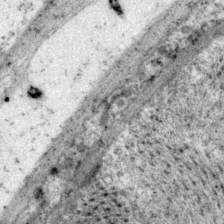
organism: P. pacificus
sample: Pharynx